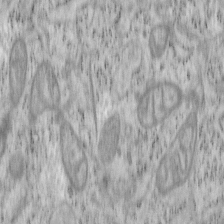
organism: Human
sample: HeLa cells